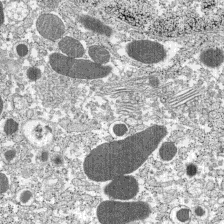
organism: C57BL Mouse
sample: Pancreatic islet